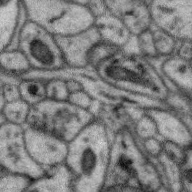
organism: Zebra finch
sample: Brain